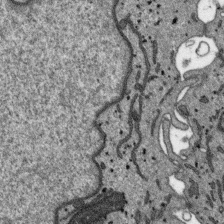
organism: Human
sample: Lung epithelial cells, uninfected (mock) control